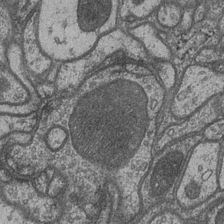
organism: Drosophila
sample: Optic medulla